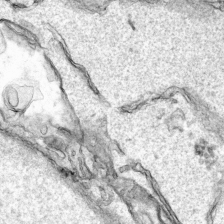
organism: Human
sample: Mitochondria in HCT116 cells